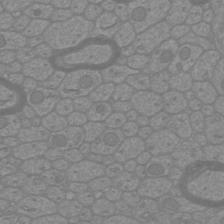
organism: Mouse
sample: Cortical neurons